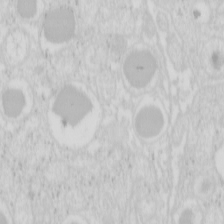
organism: Mouse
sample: Pancreas